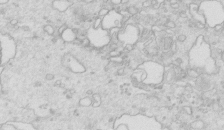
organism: Mouse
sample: Multiciliated cells